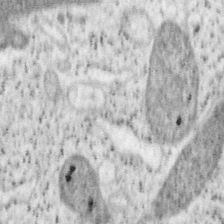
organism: Mouse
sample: OT-I killer T cells with ID8 ovarian cancer cells